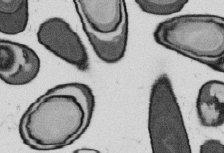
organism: B. subtilis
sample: Bacterial spore